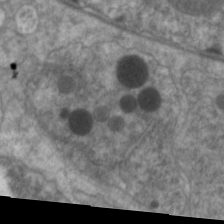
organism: C. elegans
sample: Pharynx